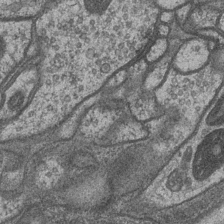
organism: Drosophila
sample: Optic medulla